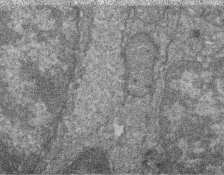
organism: Zebrafish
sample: Cilia; retinal pigment epithelium